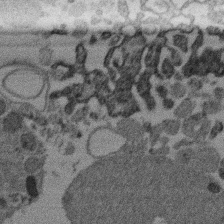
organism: Mouse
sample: Dividing mouse embryo 1 cell stage